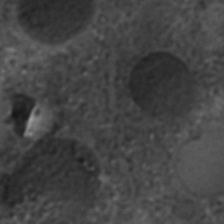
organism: C. elegans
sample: C. elegans embryo